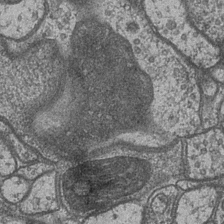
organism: Drosophila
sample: Optic medulla